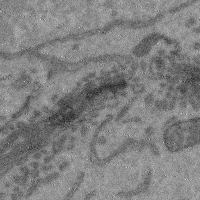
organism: Mouse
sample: Cerebral cortex